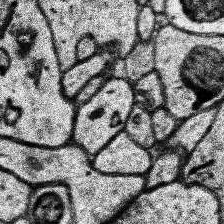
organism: Human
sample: Temporal Lobe